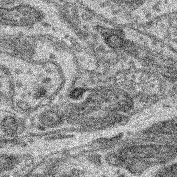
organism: Mouse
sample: Retina